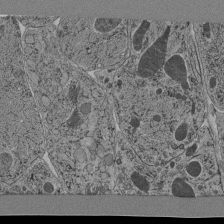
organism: C. elegans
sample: C. elegans pharynx